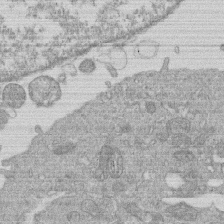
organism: Human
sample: Macrophage cells